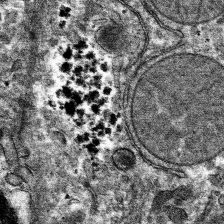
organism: Mouse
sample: Mouse hepatocytes